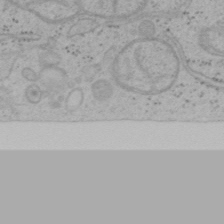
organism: Human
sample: HeLa cells